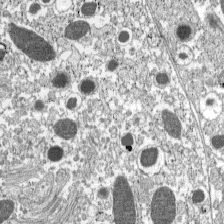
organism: C57BL Mouse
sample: Pancreatic islet